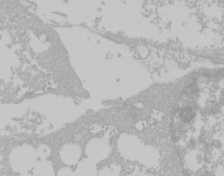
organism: Mouse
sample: Cancer cell death in ED-1 cells